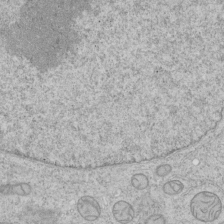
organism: Human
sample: Mitochondria in HCT116 cells